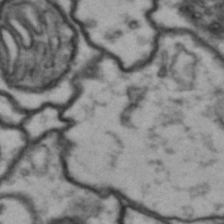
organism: Drosophila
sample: Brain